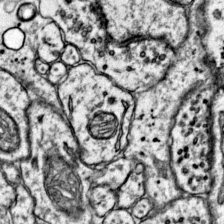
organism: Mouse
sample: Primary visual cortex